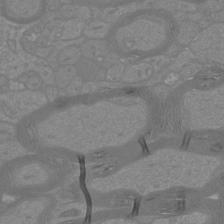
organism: Mouse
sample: Cortical neurons